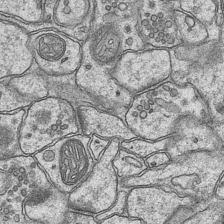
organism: Mouse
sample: CA1 Hippocampus